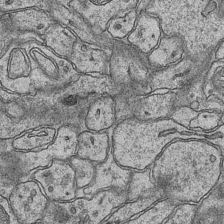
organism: Mouse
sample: CA1 Hippocampus